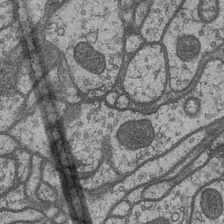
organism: Drosophila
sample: Optic medulla